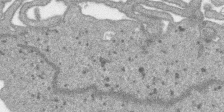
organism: Human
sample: Lung epithelial cells infected with SARS-CoV-2